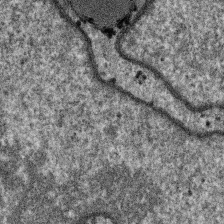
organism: Human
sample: Lung epithelial cells infected with SARS-CoV-2